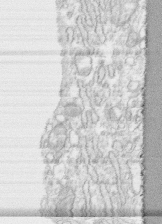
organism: Human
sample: CRL-1474